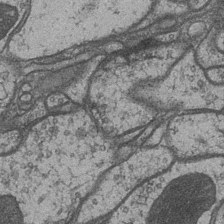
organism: Drosophila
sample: Optic medulla